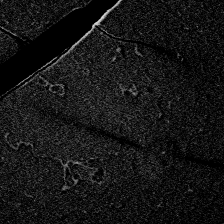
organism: Zebrafish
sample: Whole-Brain